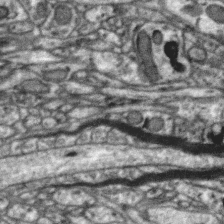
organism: Zebra finch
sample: Brain